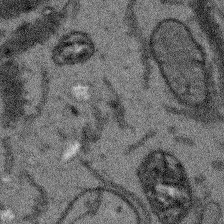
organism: Arabidopsis thaliana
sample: Root tip